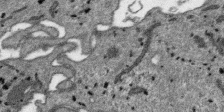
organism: Human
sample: Lung epithelial cells, uninfected (mock) control